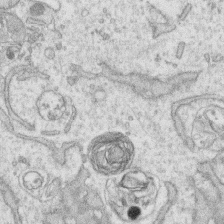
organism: Human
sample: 1205lu cells